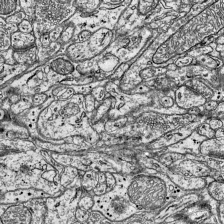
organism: Mouse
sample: Visual Cortex